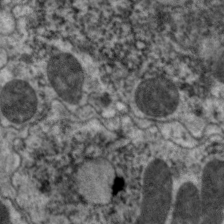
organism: C. elegans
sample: Pharynx